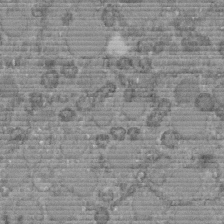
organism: C. elegans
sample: C. elegans embryo early stage